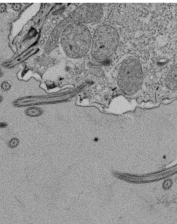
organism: Tetrahymena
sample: Cilia in tetrahymena